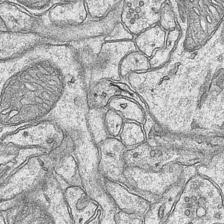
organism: Mouse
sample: CA1 Hippocampus